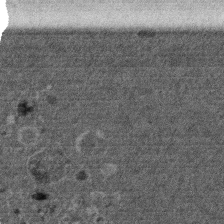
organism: Mouse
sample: Dividing mouse embryo 1 cell stage